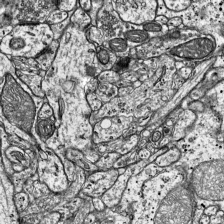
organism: Mouse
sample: Visual Cortex